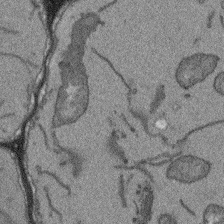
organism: Arabidopsis thaliana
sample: Root tip